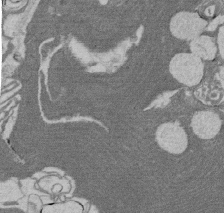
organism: Rat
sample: Salivary granule